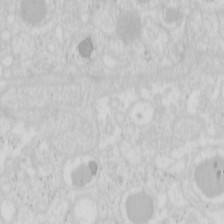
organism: Mouse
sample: Pancreas